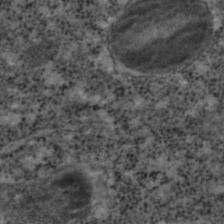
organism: C. elegans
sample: C. elegans embryo